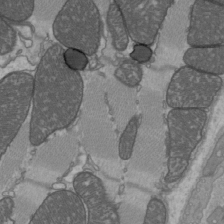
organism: C57BL Mouse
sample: Heart